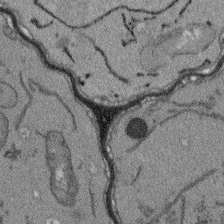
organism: Arabidopsis thaliana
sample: Root tip